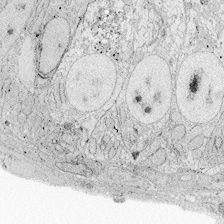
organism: Zebrafish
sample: Whole-Brain